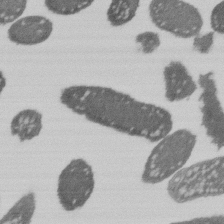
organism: E. coli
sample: Bacterial nucleoid